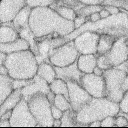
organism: Rabbit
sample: Retina